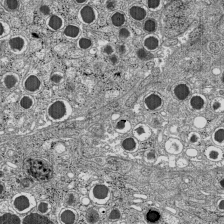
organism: C57BL Mouse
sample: Pancreatic islet